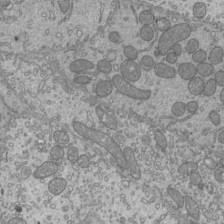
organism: Mouse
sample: Cilia; mouse epididymis